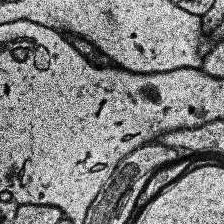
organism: Human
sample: Temporal Lobe